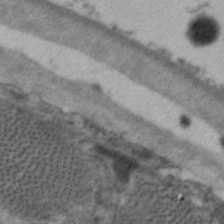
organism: C. elegans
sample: Pharynx